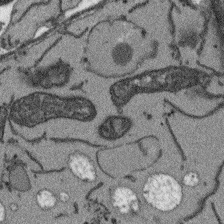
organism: Arabidopsis thaliana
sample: Root tip